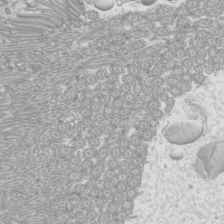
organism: Mouse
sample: Cilia; mouse epididymis